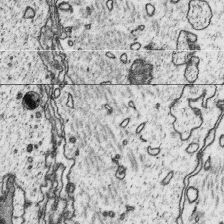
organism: Platynereis dumerilii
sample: Parapodia